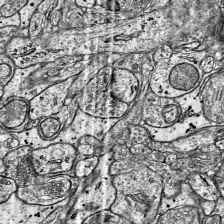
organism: Mouse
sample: Visual Cortex